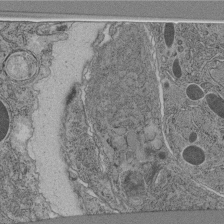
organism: C. elegans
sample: C. elegans pharynx